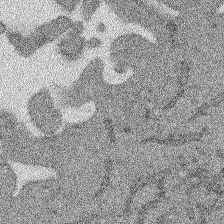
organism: Human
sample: HeLa cells